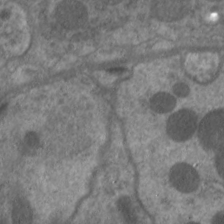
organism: C. elegans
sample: Pharynx